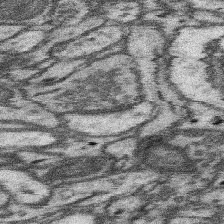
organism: Mouse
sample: Somatosensory cortex neuropil